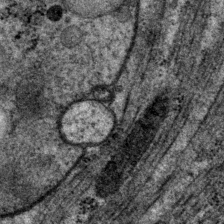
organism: P. pacificus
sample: Pharynx